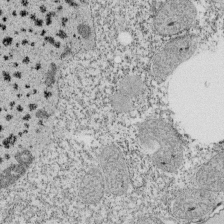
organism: Tetrahymena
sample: Cilia in tetrahymena